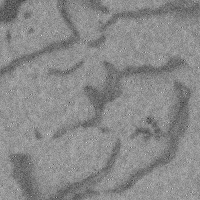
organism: Mouse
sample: Cerebral cortex